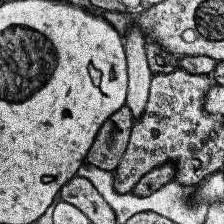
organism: Human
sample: Temporal Lobe